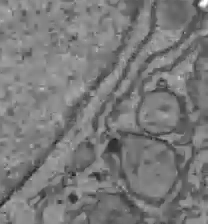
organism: C57BL Mouse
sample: Liver